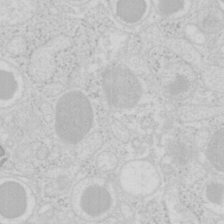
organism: Mouse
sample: Pancreas